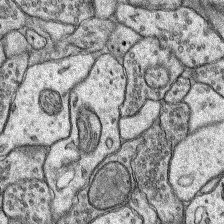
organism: Rat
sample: Hippocampus